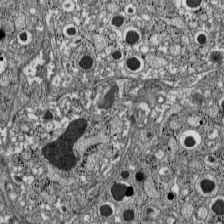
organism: C57BL Mouse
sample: Pancreatic islet